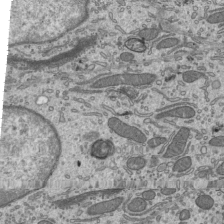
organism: Mouse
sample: Mouse epididymis efferent ductule cilia